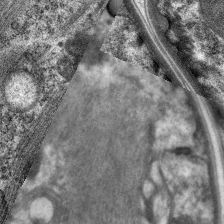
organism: C. elegans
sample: Pharynx